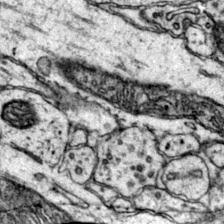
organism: Mouse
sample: Primary visual cortex